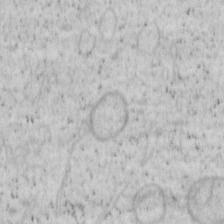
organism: Human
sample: HeLa cells